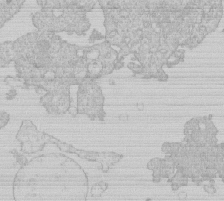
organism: Human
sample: Macrophage cells